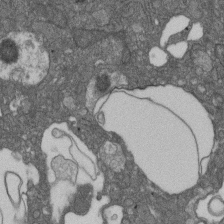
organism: Drosophila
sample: Nephrocyte